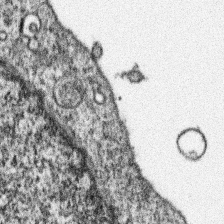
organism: Human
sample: HeLa cells